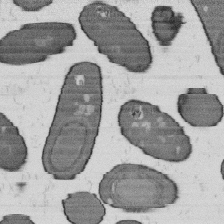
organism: B. subtilis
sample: Bacterial spore